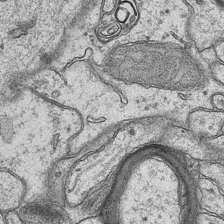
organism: Mouse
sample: CA1 Hippocampus